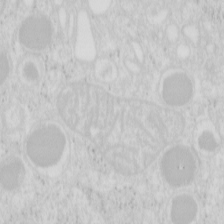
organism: Mouse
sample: Pancreas